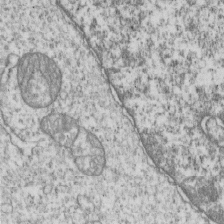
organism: Human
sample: MDA-MB-231 cells